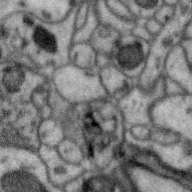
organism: Zebra finch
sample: Brain